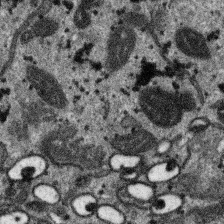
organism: Human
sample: Lung epithelial cells infected with SARS-CoV-2